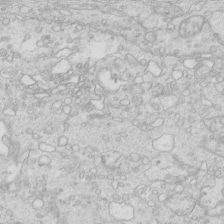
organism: Mouse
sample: Multiciliated cells